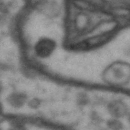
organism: Drosophila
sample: Brain